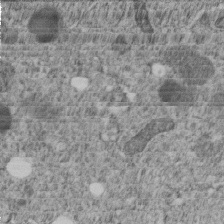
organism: C. elegans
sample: C. elegans embryo early stage